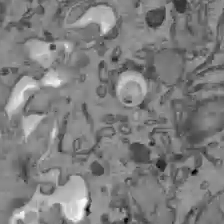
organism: C57BL Mouse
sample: Liver